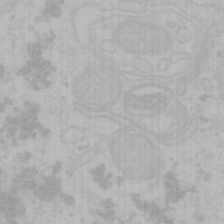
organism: Mouse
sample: Choroid plexus